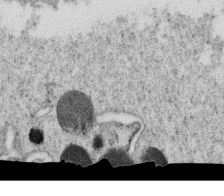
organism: C. elegans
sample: C. elegans oocyte; sperm cells